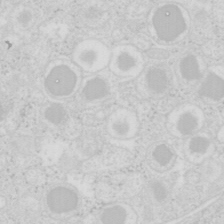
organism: Mouse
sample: Pancreas